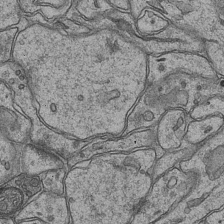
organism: Mouse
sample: CA1 Hippocampus